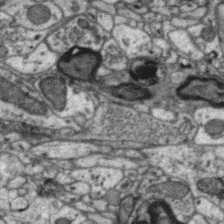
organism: Zebra finch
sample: Brain